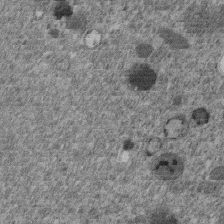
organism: C. elegans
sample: C. elegans embryo early stage